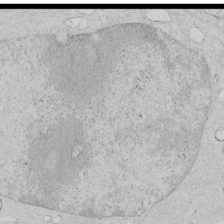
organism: Human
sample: Mitochondria in HCT116 cells